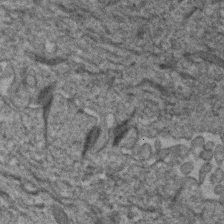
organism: Human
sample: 1205lu cells